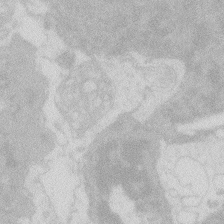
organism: Zebrafish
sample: Macrophage